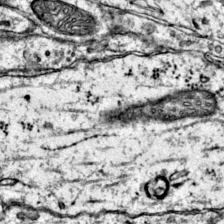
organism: Mouse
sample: Primary visual cortex